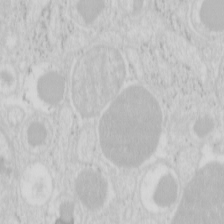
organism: Mouse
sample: Pancreas